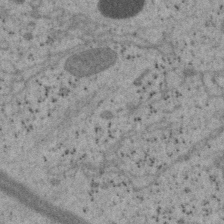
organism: Human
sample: HeLa cells